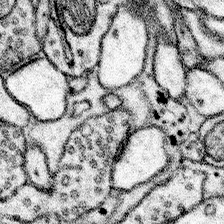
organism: Mouse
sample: Somatosensory cortex neuropil